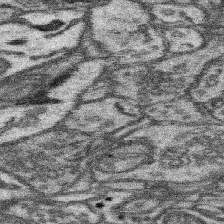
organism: Mouse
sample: Somatosensory cortex neuropil